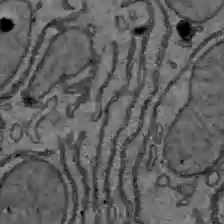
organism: C57BL Mouse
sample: Liver